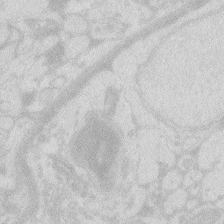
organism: Zebrafish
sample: Macrophage